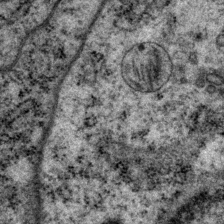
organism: P. pacificus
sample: Pharynx